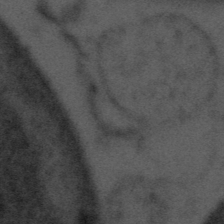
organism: Tuwongella immobilis